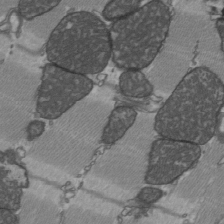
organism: C57BL Mouse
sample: Heart